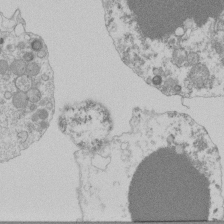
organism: Mouse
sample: Activated Pmel transgenic CD8+ T Cells